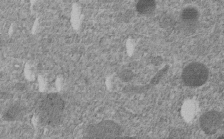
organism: C. elegans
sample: C. elegans embryo early stage